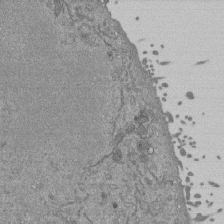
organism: Mouse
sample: ED-1 cell nuclei; centrioles